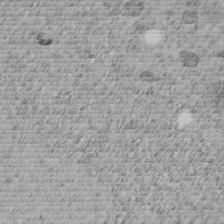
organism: C. elegans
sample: C. elegans embryo early stage